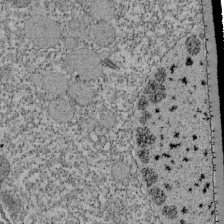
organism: Tetrahymena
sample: Cilia in tetrahymena